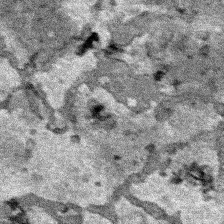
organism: Human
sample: Mitochondria in HCT116 cells